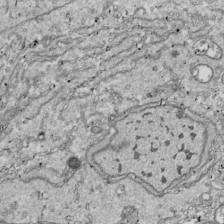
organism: Drosophila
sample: Cell division; meiosis; drosophila spermatocytes